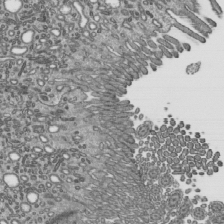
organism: Mouse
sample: Mouse epididymis efferent ductule cilia